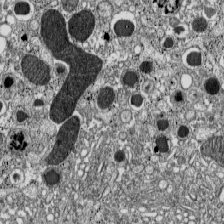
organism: C57BL Mouse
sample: Pancreatic islet